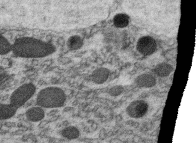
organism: C. elegans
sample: C. elegans oocyte; sperm cells